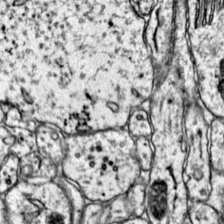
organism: Mouse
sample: Primary visual cortex